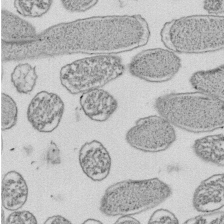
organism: E. coli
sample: Bacterial nucleoid